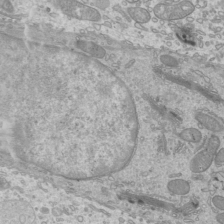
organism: Mouse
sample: Cilia; mouse epididymis